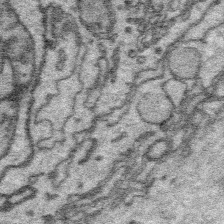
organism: Platynereis dumerilii